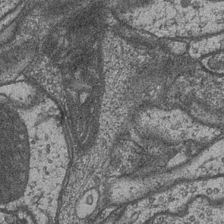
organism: Drosophila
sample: Optic medulla